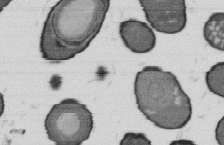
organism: B. subtilis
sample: Bacterial spore